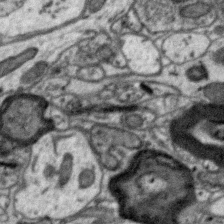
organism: Zebra finch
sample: Brain